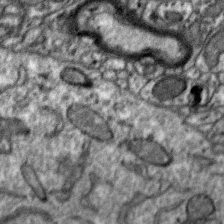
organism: Zebra finch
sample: Brain